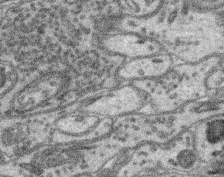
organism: Mouse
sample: Retina